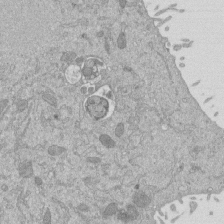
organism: Mouse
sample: ED-1 cell nuclei; centrioles